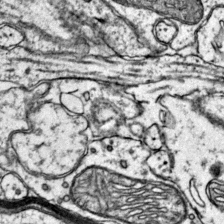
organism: Mouse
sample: Primary visual cortex